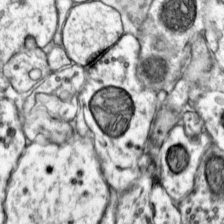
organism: Mouse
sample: Primary visual cortex